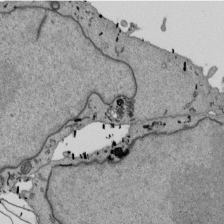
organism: Mouse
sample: ED-1 cell nuclei; centrioles